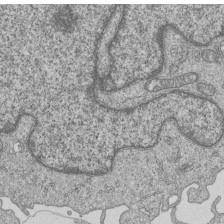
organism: Human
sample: MDA-MB-231 cells